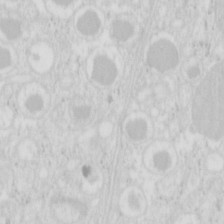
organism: Mouse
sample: Pancreas